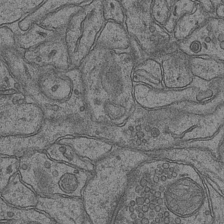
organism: Mouse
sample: CA1 Hippocampus